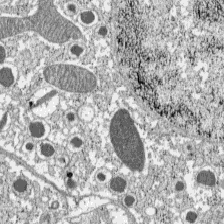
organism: C57BL Mouse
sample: Pancreatic islet